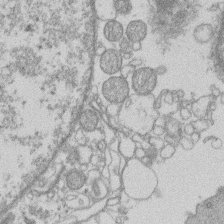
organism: Human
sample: Macrophage cells